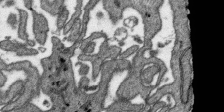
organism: Human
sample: Lung epithelial cells, uninfected (mock) control